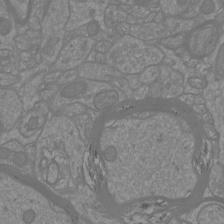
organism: Mouse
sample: Cortical neurons